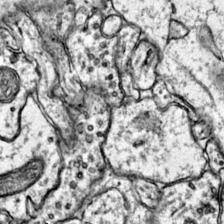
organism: Mouse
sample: Primary visual cortex